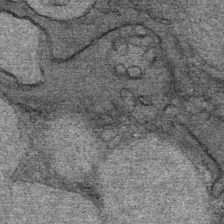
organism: Mouse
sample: Mouse Salivary gland